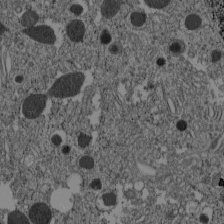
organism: C57BL Mouse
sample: Pancreatic islet